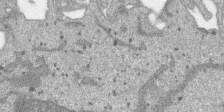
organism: Human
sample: Lung epithelial cells infected with SARS-CoV-2